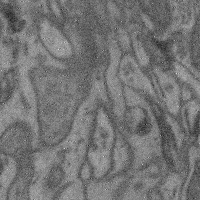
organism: Mouse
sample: Cerebral cortex